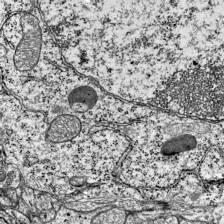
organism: Mouse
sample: Visual Cortex